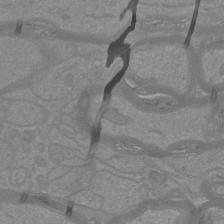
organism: Mouse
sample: Cortical neurons